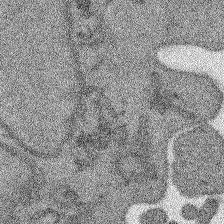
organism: Human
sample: HeLa cells